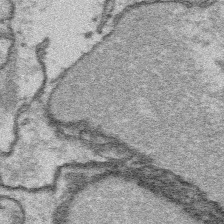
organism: Platynereis dumerilii